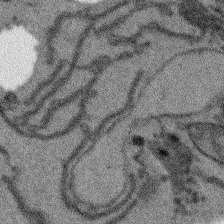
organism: Arabidopsis thaliana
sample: Root tip